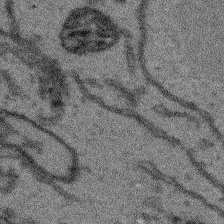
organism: Arabidopsis thaliana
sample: Root tip